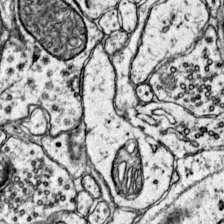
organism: Mouse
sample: Primary visual cortex